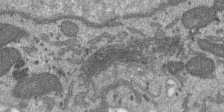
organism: Human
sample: Lung epithelial cells infected with SARS-CoV-2